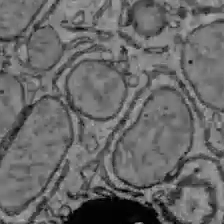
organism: C57BL Mouse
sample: Liver